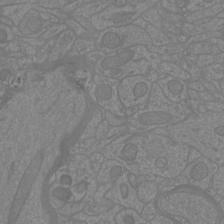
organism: Mouse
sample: Cortical neurons